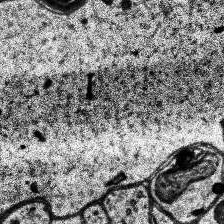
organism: Human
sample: Temporal Lobe